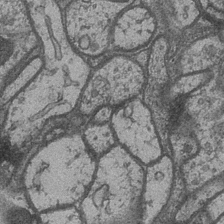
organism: Drosophila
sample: Optic medulla